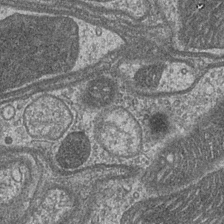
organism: Drosophila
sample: Optic medulla